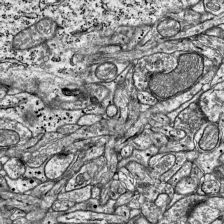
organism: Mouse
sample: Visual Cortex